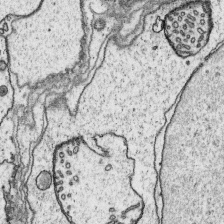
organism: Platynereis dumerilii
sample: Parapodia